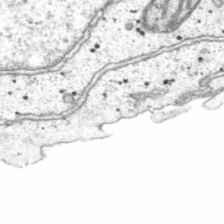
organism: Human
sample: HeLa cells